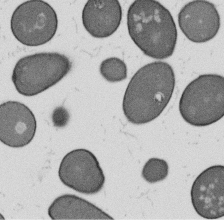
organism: B. subtilis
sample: Bacterial spore